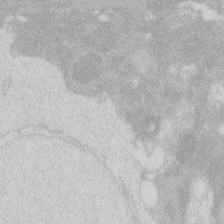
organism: Zebrafish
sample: Macrophage